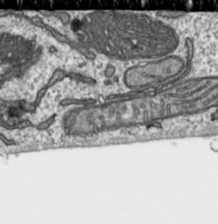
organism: Toxoplasma gondii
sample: Parasites in a vacuole inside a host cell